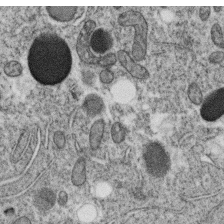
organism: C. elegans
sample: C. elegans oocyte; sperm cells